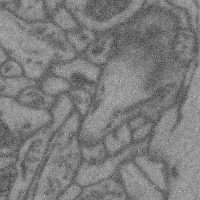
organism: Mouse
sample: Cerebral cortex